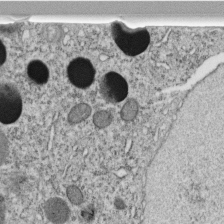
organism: C. elegans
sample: C. elegans embryo early stage